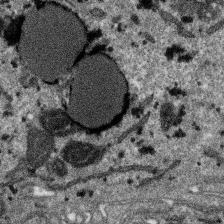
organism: Human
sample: Lung epithelial cells infected with SARS-CoV-2